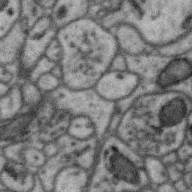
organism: Zebra finch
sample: Brain